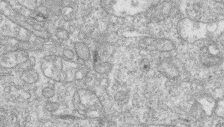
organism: Human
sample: HeLa cell HIV synapse